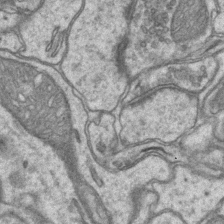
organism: Mouse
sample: CA1 Hippocampus